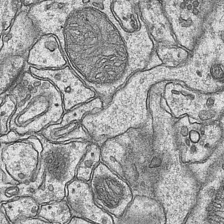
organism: Mouse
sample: CA1 Hippocampus